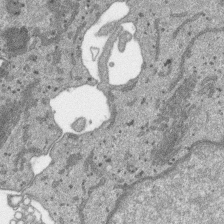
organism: Human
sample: Lung epithelial cells infected with SARS-CoV-2